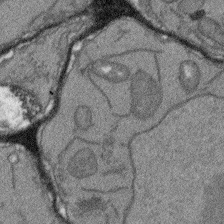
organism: Arabidopsis thaliana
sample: Root tip